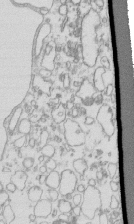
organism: Mouse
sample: Macrophages